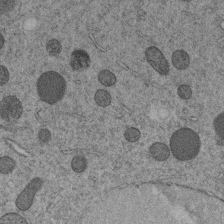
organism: C. elegans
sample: C. elegans embryo early stage